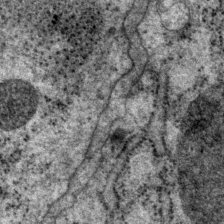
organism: P. pacificus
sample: Pharynx